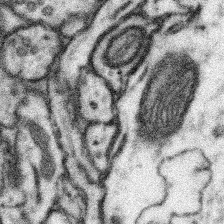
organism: Mouse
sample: Somatosensory cortex neuropil